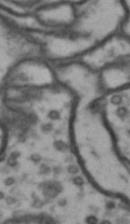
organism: Drosophila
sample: Brain